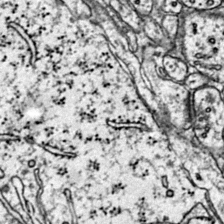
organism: Mouse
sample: Primary visual cortex